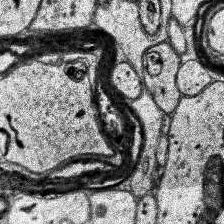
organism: Human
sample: Temporal Lobe